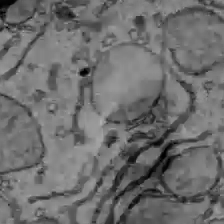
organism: C57BL Mouse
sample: Liver